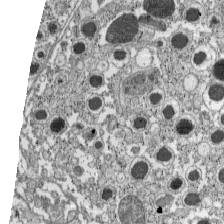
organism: C57BL Mouse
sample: Pancreatic islet